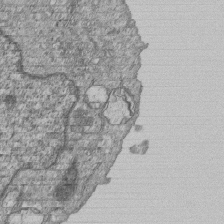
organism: Human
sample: MDA-MB-231 cells